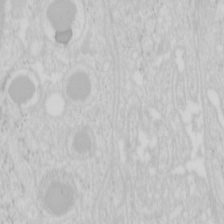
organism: Mouse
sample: Pancreas